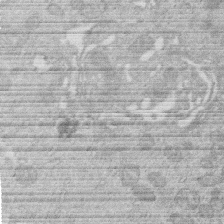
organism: Human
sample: Macrophage cells